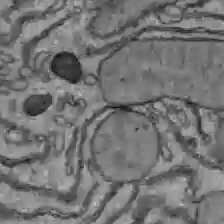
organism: C57BL Mouse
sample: Liver